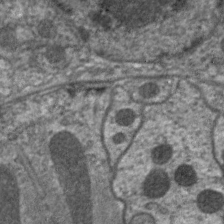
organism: C. elegans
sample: Pharynx